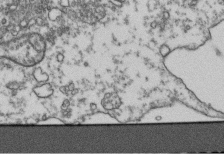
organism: Human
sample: Activated Jurkat CD4+ T cells